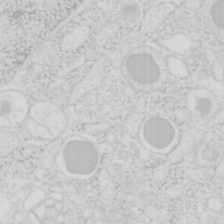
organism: Mouse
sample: Pancreas